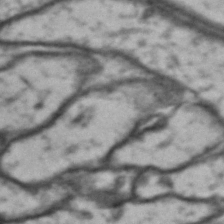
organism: Drosophila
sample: Brain